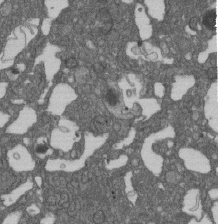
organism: Drosophila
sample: Nephrocyte